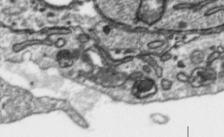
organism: Toxoplasma gondii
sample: Parasites in a vacuole inside a host cell